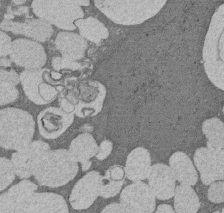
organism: Rat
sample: Salivary granule